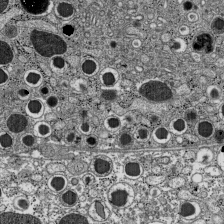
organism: C57BL Mouse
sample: Pancreatic islet